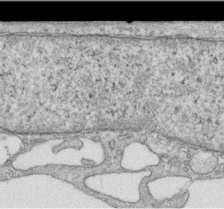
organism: Human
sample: Centriole in RPE cells